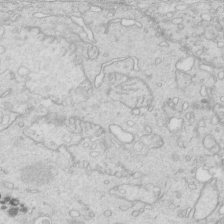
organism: Mouse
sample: Multiciliated cells